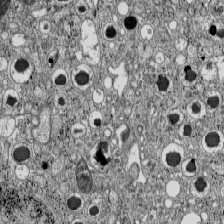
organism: C57BL Mouse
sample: Pancreatic islet